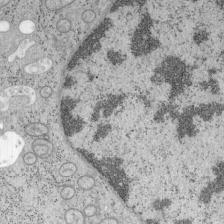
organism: Mouse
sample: OT-I killer T cells with ID8 ovarian cancer cells